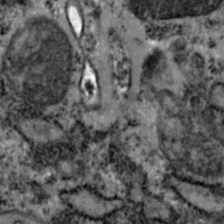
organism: Zebrafish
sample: Zebrafish embryo